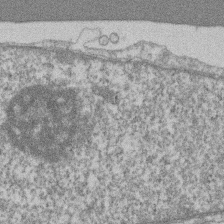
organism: Mouse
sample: T cell stromal cell synapse